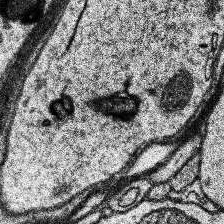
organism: Human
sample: Temporal Lobe